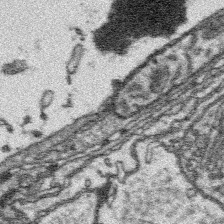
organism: Platynereis dumerilii